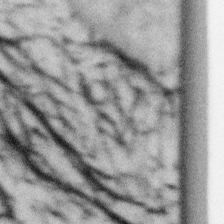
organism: Gemmata obscuriglobus